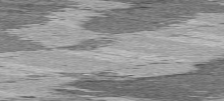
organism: C57BL Mouse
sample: Heart